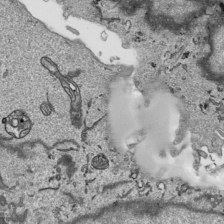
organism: Human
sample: Mitochondria in HCT116 cells